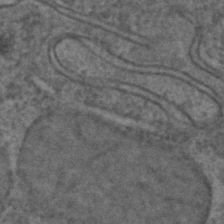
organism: C. elegans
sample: C. elegans embryo